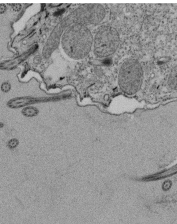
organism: Tetrahymena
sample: Cilia in tetrahymena